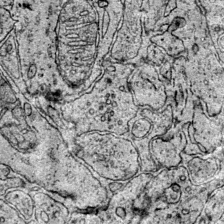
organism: Mouse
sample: Primary visual cortex